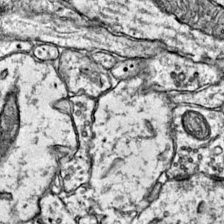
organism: Mouse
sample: Primary visual cortex